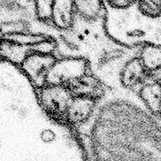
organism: Mouse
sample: Somatosensory cortex neuropil